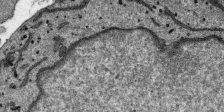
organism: Human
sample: Lung epithelial cells, uninfected (mock) control